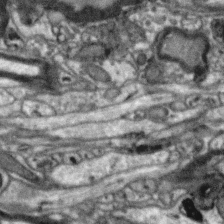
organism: Zebra finch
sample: Brain